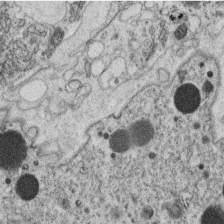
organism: C. elegans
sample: C. elegans oocyte; sperm cells